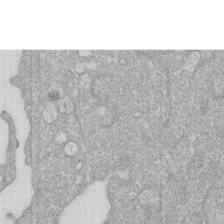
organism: Human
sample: HIV infected U937 cells